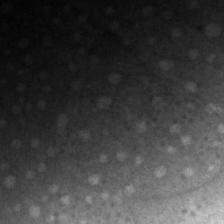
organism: P. pacificus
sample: Pharynx